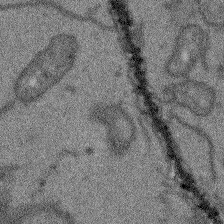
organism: Arabidopsis thaliana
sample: Root tip